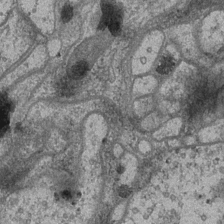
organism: Drosophila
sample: Optic medulla